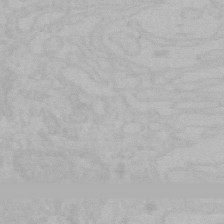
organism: Mouse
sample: Choroid plexus